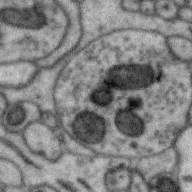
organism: Zebra finch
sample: Brain